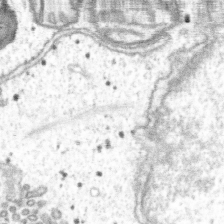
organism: Human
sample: HeLa cells